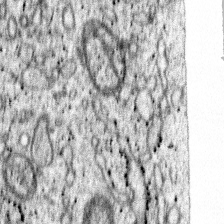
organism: Human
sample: HeLa cells